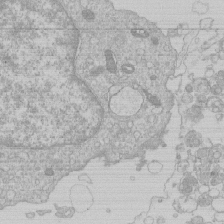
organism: Human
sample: Macrophage cells